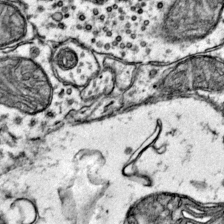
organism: Mouse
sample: Primary visual cortex